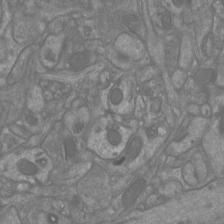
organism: Mouse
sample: Cortical neurons